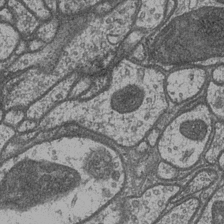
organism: Drosophila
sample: Optic medulla